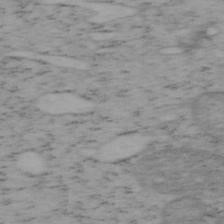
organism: Mouse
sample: OT-I killer T cells with ID8 ovarian cancer cells